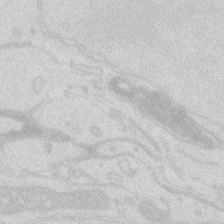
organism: Zebrafish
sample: Macrophage